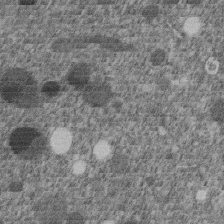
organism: C. elegans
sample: C. elegans embryo early stage